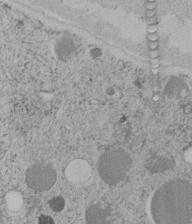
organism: C. elegans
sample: C. elegans embryo early stage